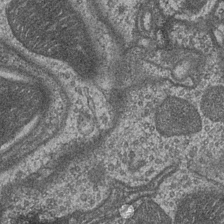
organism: Drosophila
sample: Optic medulla